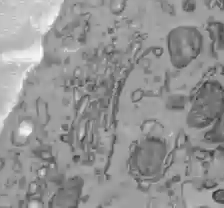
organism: C57BL Mouse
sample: Liver